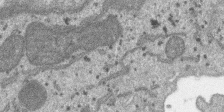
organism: Human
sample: Lung epithelial cells infected with SARS-CoV-2